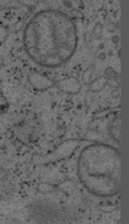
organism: Human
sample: HeLa cells